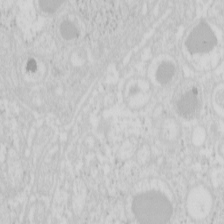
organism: Mouse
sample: Pancreas